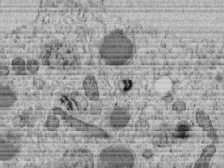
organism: C. elegans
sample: C. elegans embryo early stage